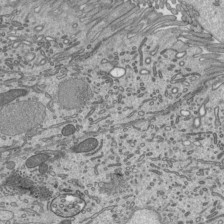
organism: Mouse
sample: Mouse epididymis efferent ductule cilia